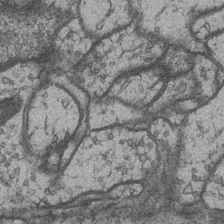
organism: Drosophila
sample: Optic medulla